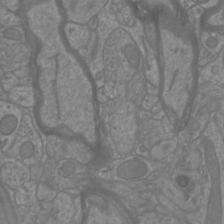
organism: Mouse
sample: Cortical neurons